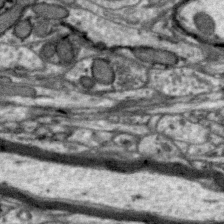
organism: Zebra finch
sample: Brain